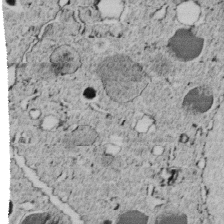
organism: C. elegans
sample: C. elegans embryo early stage